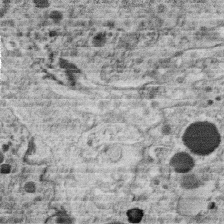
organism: C. elegans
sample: C. elegans oocyte; sperm cells